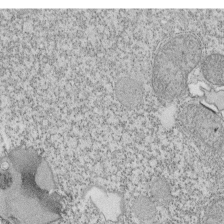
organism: Tetrahymena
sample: Cilia in tetrahymena